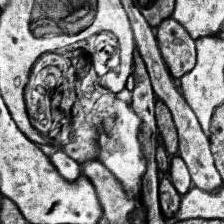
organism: Human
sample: Temporal Lobe